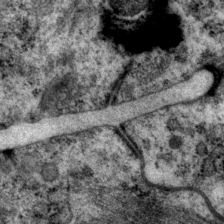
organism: P. pacificus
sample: Pharynx